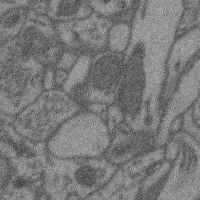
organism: Mouse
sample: Cerebral cortex